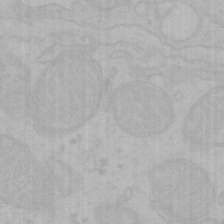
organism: Mouse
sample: Choroid plexus